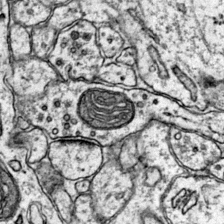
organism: Mouse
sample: Primary visual cortex